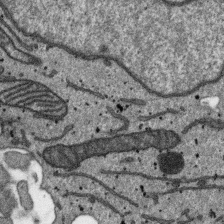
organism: Human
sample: Lung epithelial cells, uninfected (mock) control